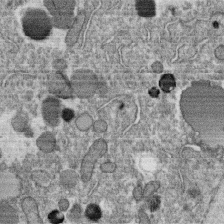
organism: C. elegans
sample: C. elegans oocyte; sperm cells